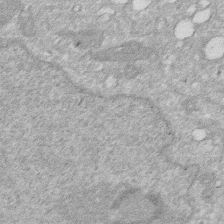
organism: Human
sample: HIV infected U937 cells